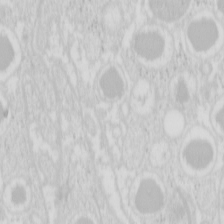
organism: Mouse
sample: Pancreas